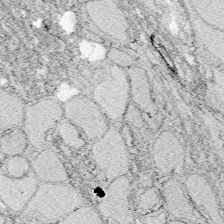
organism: Zebrafish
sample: Whole-Brain